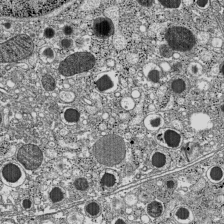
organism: C57BL Mouse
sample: Pancreatic islet